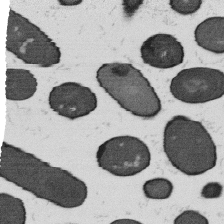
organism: B. subtilis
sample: Bacterial spore